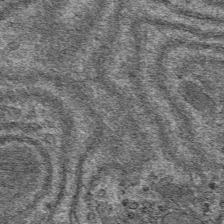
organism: Mouse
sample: Mouse hepatocytes